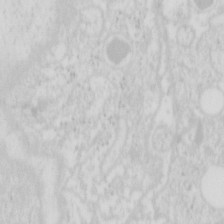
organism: Mouse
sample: Pancreas